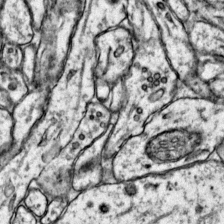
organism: Mouse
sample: Primary visual cortex